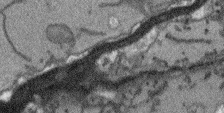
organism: Arabidopsis thaliana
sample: Root tip